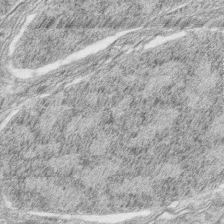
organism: Zebrafish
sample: synaptic ribbons in rod cells and cone cells